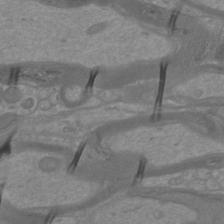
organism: Mouse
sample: Cortical neurons